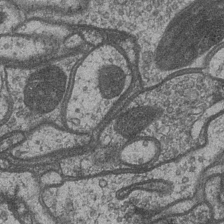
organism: Drosophila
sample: Optic medulla